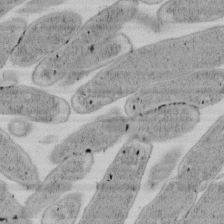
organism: E. coli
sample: Bacterial nucleoid